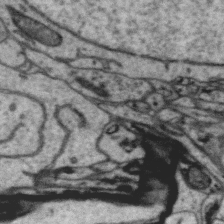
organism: Zebra finch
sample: Brain